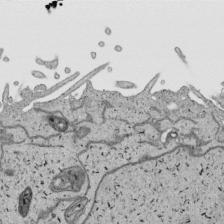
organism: Human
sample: Mitochondria in HCT116 cells